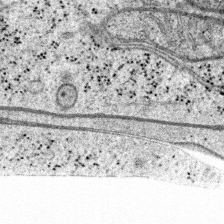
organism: Human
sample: HeLa cells